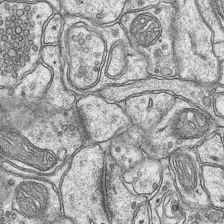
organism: Mouse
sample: CA1 Hippocampus